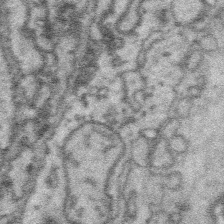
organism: Platynereis dumerilii